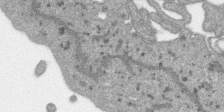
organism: Human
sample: Lung epithelial cells infected with SARS-CoV-2